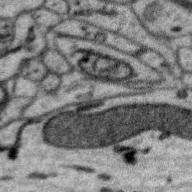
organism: Zebra finch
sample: Brain